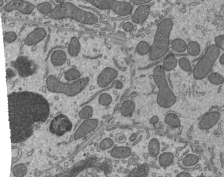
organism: Mouse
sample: Mouse epididymis efferent ductule cilia